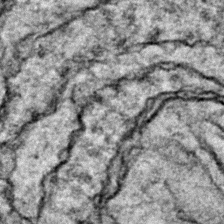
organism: Zebrafish